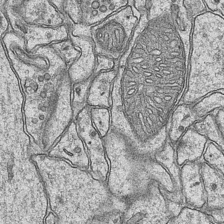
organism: Mouse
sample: CA1 Hippocampus